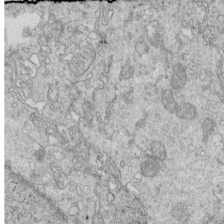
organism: Mouse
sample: Multiciliated cells